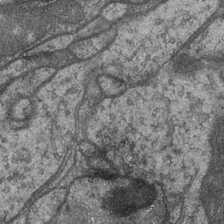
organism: Drosophila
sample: Optic medulla